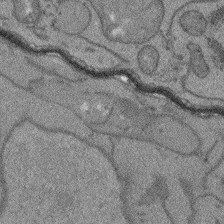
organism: Arabidopsis thaliana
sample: Root tip